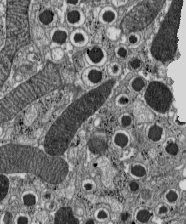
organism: C57BL Mouse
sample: Pancreatic islet